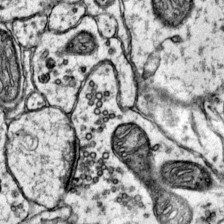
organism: Mouse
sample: Primary visual cortex